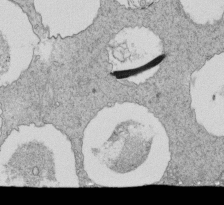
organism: Tetrahymena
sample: Cilia in tetrahymena